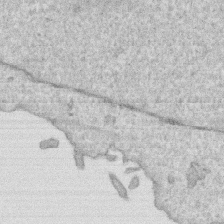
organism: Human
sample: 1205lu cells